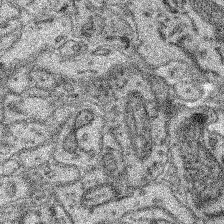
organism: Mouse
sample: Retina